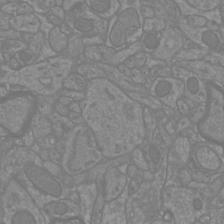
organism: Mouse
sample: Cortical neurons